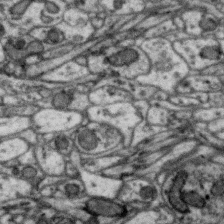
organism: Zebra finch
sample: Brain